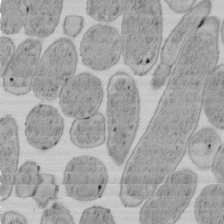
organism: E. coli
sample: Bacterial nucleoid